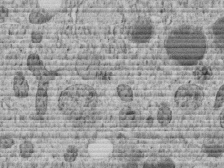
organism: C. elegans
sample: C. elegans embryo early stage